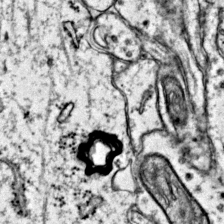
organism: Mouse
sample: Primary visual cortex